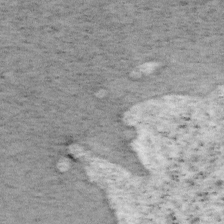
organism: Mouse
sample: OT-I killer T cells with ID8 ovarian cancer cells